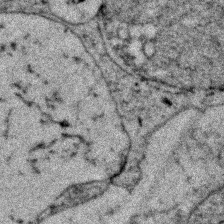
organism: Zebrafish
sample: Zebrafish embryo